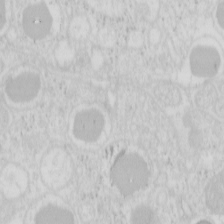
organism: Mouse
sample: Pancreas